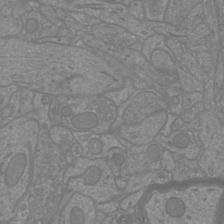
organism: Mouse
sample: Cortical neurons